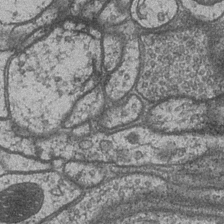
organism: Drosophila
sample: Optic medulla